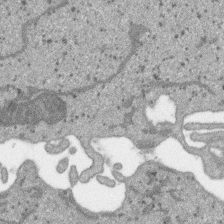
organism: Human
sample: Lung epithelial cells infected with SARS-CoV-2